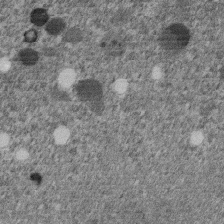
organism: C. elegans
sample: C. elegans embryo early stage